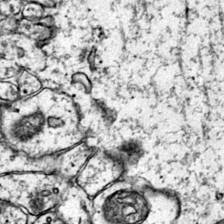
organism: Mouse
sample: Primary visual cortex